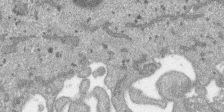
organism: Human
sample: Lung epithelial cells infected with SARS-CoV-2